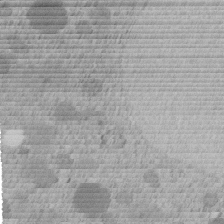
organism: C. elegans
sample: C. elegans embryo early stage